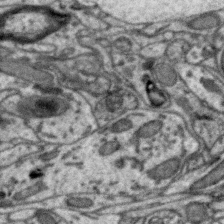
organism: Zebra finch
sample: Brain